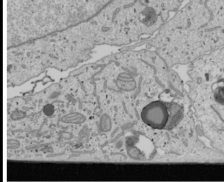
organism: Human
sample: Mitochondria in U2OS cells